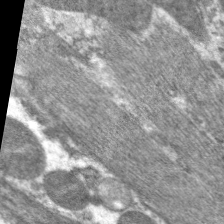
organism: C. elegans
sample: Pharynx